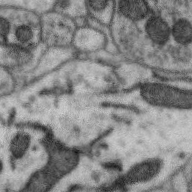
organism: Zebra finch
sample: Brain